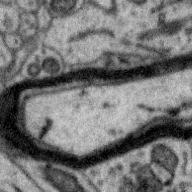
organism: Zebra finch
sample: Brain